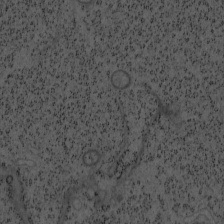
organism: Mouse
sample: OT-I killer T cells with ID8 ovarian cancer cells